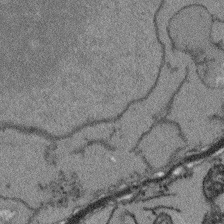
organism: Arabidopsis thaliana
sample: Root tip